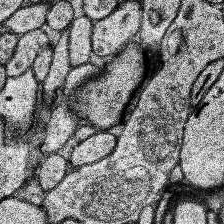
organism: Human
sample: Temporal Lobe